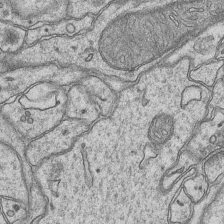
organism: Mouse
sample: CA1 Hippocampus